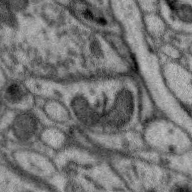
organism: Zebra finch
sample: Brain